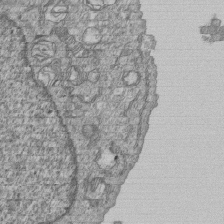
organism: Human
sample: MDA-MB-231 cells